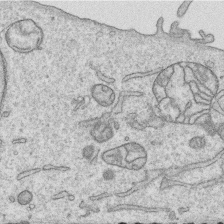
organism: Human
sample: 1205lu cells